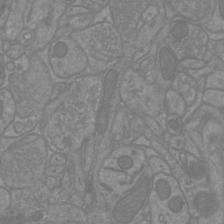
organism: Mouse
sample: Cortical neurons